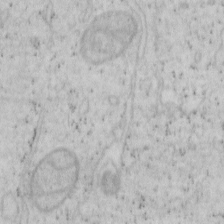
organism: Human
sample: HeLa cells